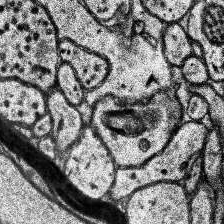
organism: Human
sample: Temporal Lobe